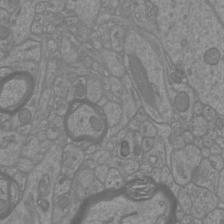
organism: Mouse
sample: Cortical neurons